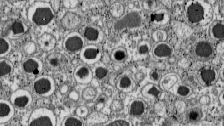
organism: C57BL Mouse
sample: Pancreatic islet